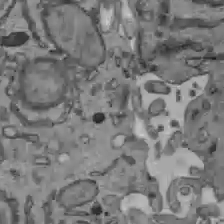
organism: C57BL Mouse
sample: Liver